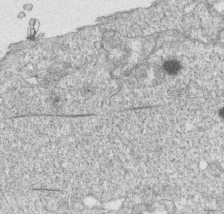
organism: Human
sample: HeLa cell HIV synapse